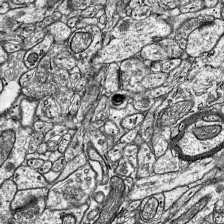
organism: Mouse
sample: Visual Cortex